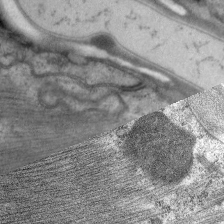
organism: C. elegans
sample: Pharynx